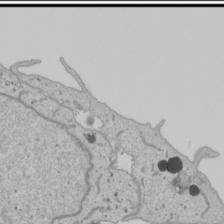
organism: Human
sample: Mitochondria in U2OS cells